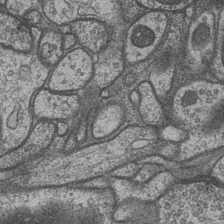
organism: Drosophila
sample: Optic medulla